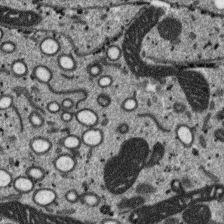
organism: Human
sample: Lung epithelial cells infected with SARS-CoV-2